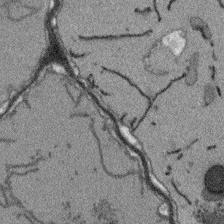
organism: Arabidopsis thaliana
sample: Root tip